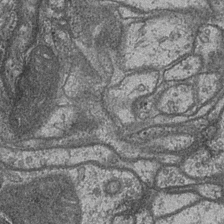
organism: Drosophila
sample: Optic medulla